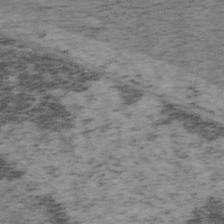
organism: Mouse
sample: OT-I killer T cells with ID8 ovarian cancer cells